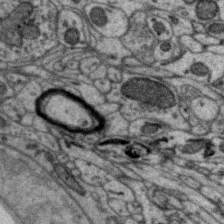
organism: Zebra finch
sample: Brain